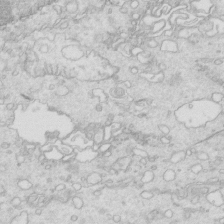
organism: Mouse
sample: Multiciliated cells